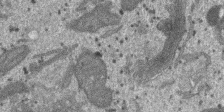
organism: Human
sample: Lung epithelial cells infected with SARS-CoV-2